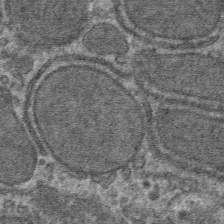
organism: Mouse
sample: Mouse hepatocytes